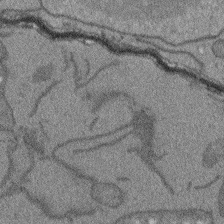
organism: Arabidopsis thaliana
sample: Root tip